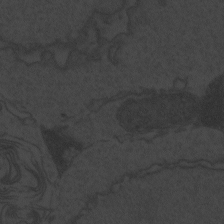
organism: Zebrafish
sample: Macrophage infected with Toxoplasma gondii